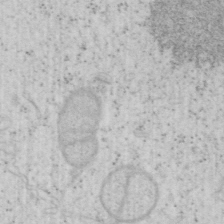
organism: Human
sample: HeLa cells